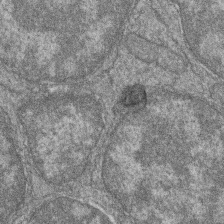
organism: Zebrafish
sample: Cilia; retinal pigment epithelium